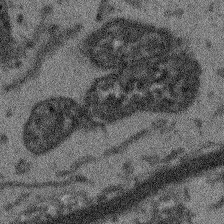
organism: Arabidopsis thaliana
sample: Root tip